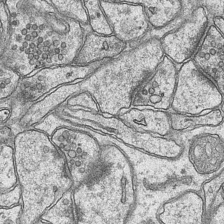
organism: Mouse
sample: CA1 Hippocampus